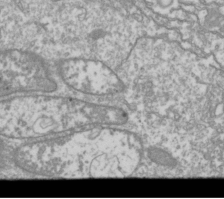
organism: Drosophila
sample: Cell division; meiosis; drosophila spermatocytes